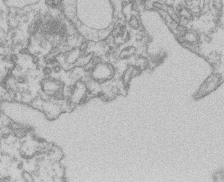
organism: Mouse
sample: T cell stromal cell synapse